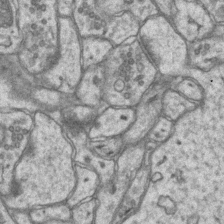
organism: Mouse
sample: CA1 Hippocampus